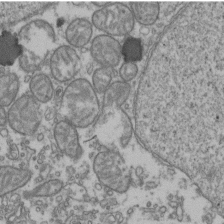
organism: Human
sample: Activated Jurkat CD4+ T cells